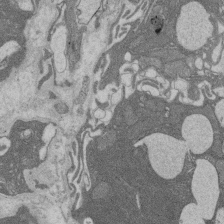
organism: Rat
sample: Salivary granule